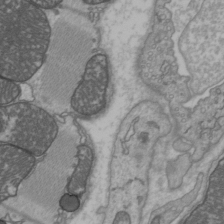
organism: C57BL Mouse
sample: Heart